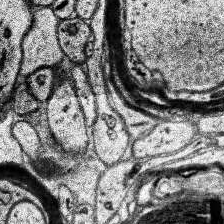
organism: Human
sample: Temporal Lobe